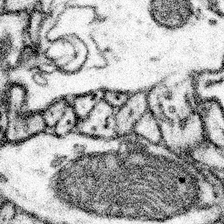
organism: Mouse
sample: Somatosensory cortex neuropil